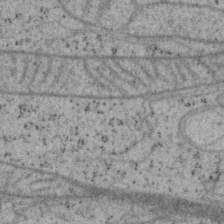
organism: Human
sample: HeLa cells